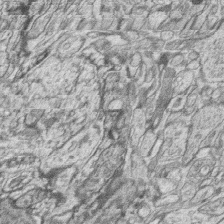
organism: Zebrafish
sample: synaptic ribbons in rod cells and cone cells